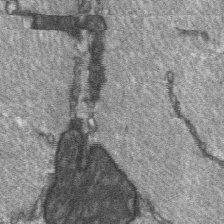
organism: C57BL Mouse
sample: Soleus